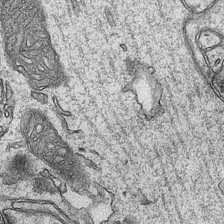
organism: Mouse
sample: CA1 Hippocampus